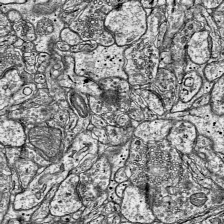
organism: Mouse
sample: Visual Cortex